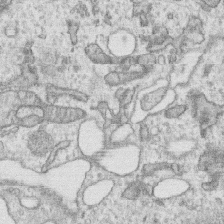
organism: Human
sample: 1205lu cells